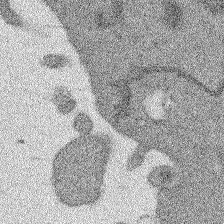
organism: Human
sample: HeLa cells